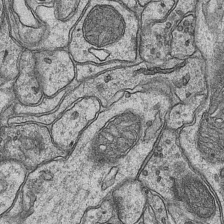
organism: Mouse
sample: CA1 Hippocampus